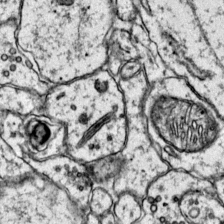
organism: Mouse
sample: Primary visual cortex